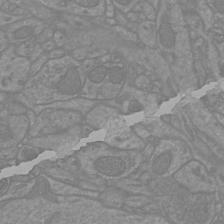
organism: Mouse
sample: Cortical neurons